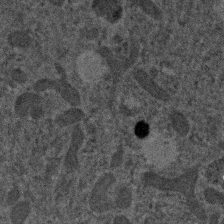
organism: Human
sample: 1205lu cells